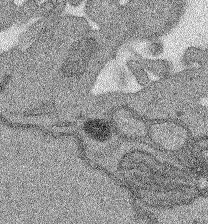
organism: Human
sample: HeLa cells